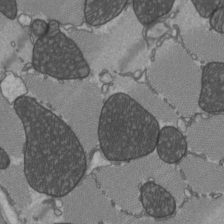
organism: C57BL Mouse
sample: Heart